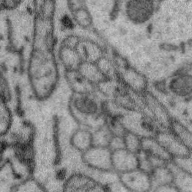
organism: Zebra finch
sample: Brain